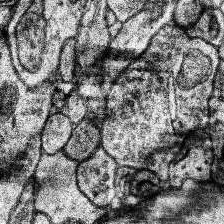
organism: Human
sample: Temporal Lobe